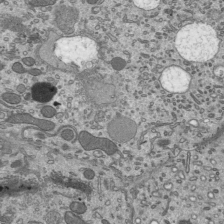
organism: Mouse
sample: Mouse epididymis efferent ductule cilia